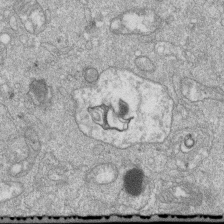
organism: Human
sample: HeLa cell HIV synapse